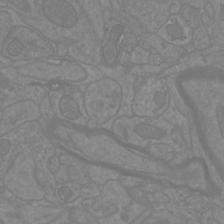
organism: Mouse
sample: Cortical neurons